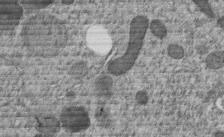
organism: C. elegans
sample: C. elegans embryo early stage